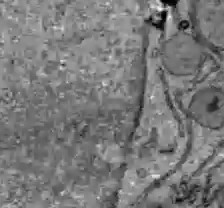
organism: C57BL Mouse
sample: Liver